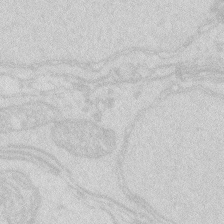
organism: Zebrafish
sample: Macrophage